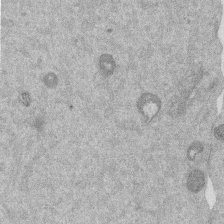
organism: Mouse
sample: Dividing mouse embryo 1 cell stage